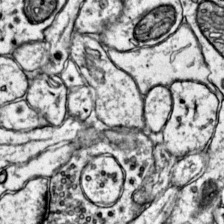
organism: Mouse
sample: Primary visual cortex